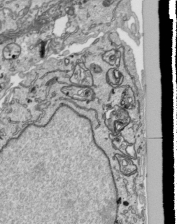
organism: Human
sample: Mitochondria in HCT116 cells